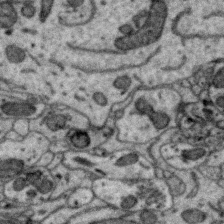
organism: Zebra finch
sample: Brain